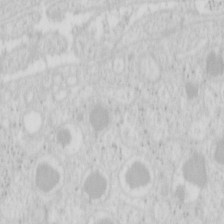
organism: Mouse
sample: Pancreas